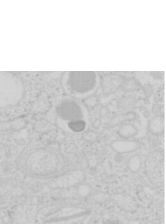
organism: Mouse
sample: Pancreas